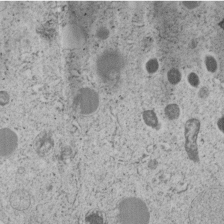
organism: C. elegans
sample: C. elegans embryo early stage